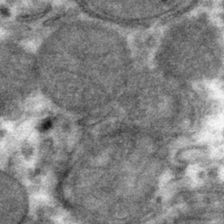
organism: Mouse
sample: Mouse hepatocytes